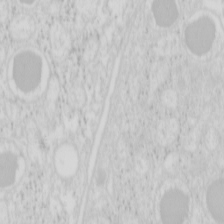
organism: Mouse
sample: Pancreas